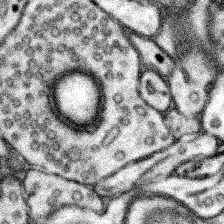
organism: Mouse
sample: Somatosensory cortex neuropil